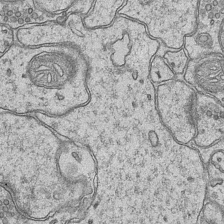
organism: Mouse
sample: CA1 Hippocampus